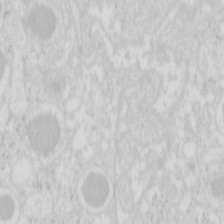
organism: Mouse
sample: Pancreas